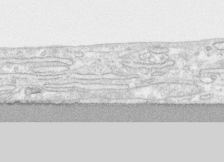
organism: Human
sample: CRL-1474